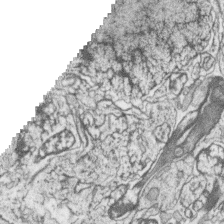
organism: Zebrafish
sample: synaptic ribbons in rod cells and cone cells